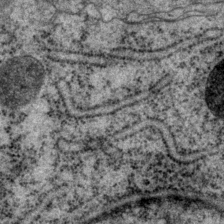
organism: P. pacificus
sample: Pharynx